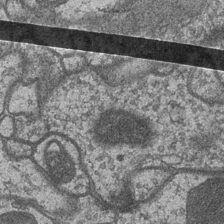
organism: Drosophila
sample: Optic medulla